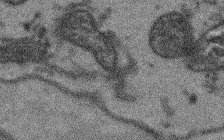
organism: Arabidopsis thaliana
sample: Root tip